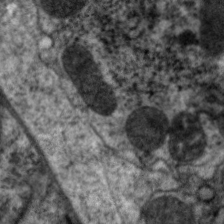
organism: C. elegans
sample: Pharynx